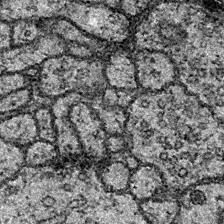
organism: Drosophila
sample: Ventral Nerve Cord